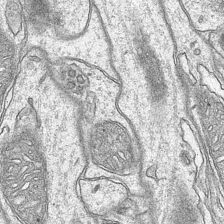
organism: Mouse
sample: CA1 Hippocampus